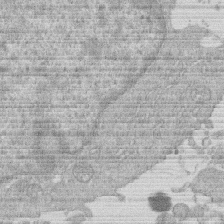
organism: Human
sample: Macrophage cells